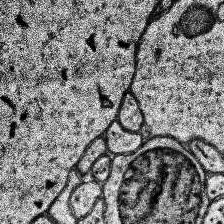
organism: Human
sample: Temporal Lobe